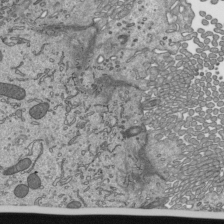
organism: Mouse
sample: Mouse epididymis efferent ductule cilia